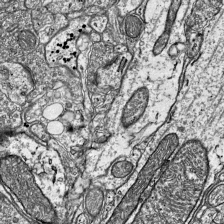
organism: Mouse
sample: Visual Cortex